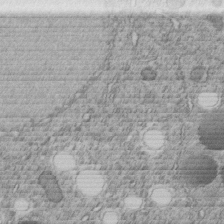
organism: C. elegans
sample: C. elegans embryo early stage